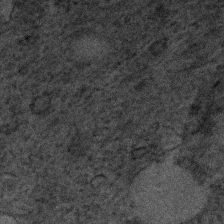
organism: Human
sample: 1205lu cells